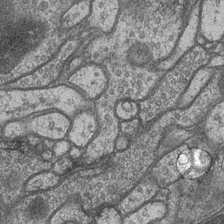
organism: Drosophila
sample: Optic medulla